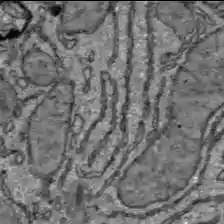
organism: C57BL Mouse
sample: Liver